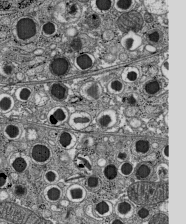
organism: C57BL Mouse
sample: Pancreatic islet